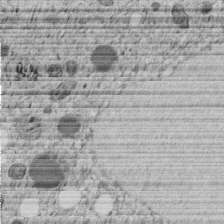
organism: C. elegans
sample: C. elegans embryo early stage